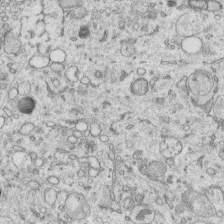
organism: Human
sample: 1205lu cells